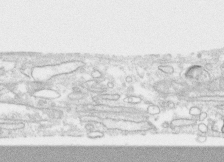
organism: Human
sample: CRL-1474